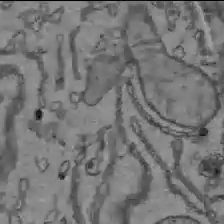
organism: C57BL Mouse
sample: Liver